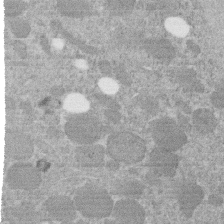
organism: C. elegans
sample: C. elegans embryo early stage